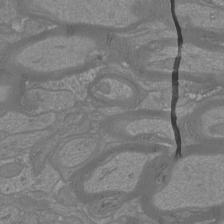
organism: Mouse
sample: Cortical neurons